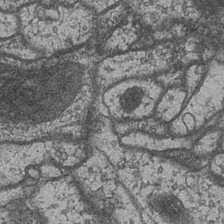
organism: Drosophila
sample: Optic medulla